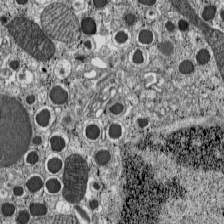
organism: C57BL Mouse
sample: Pancreatic islet